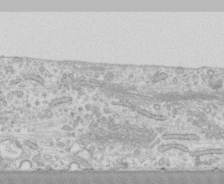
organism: Human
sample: CRL-1474